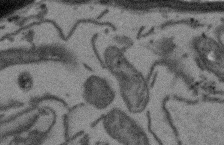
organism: Arabidopsis thaliana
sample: Root tip